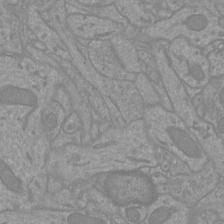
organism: Mouse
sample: Cortical neurons